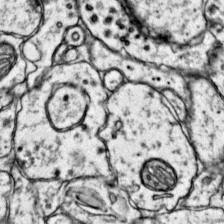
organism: Mouse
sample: Primary visual cortex